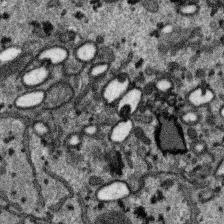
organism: Human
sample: Lung epithelial cells infected with SARS-CoV-2